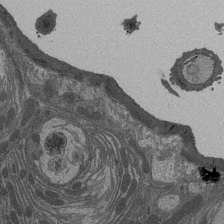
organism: Drosophila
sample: Antenna